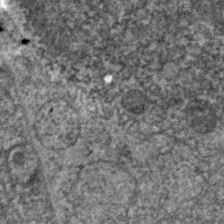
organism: C. elegans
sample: Pharynx